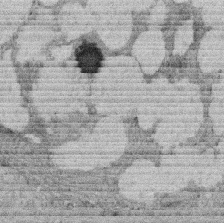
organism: Rat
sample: Salivary granule